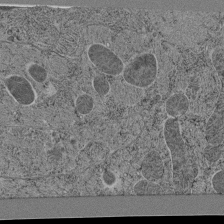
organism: C. elegans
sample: C. elegans pharynx